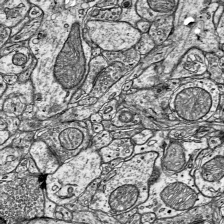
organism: Mouse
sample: Visual Cortex